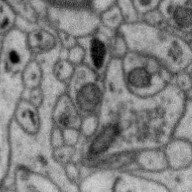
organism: Zebra finch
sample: Brain